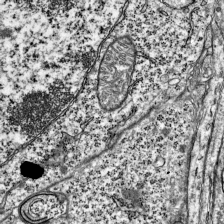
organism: Mouse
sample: Visual Cortex